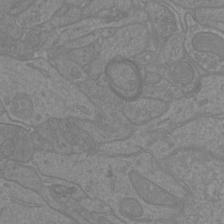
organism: Mouse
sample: Cortical neurons